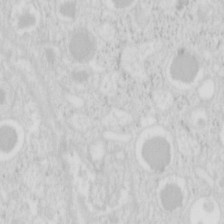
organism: Mouse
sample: Pancreas